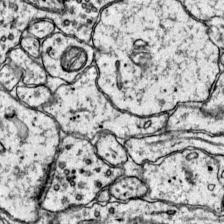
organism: Mouse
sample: Primary visual cortex